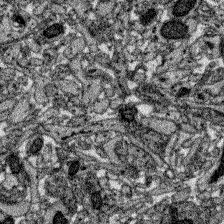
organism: Zebrafish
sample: Larval olfactory bulb